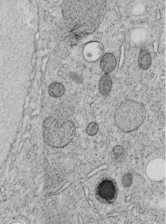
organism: C. elegans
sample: C. elegans embryo early stage